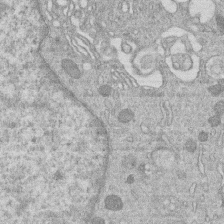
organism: Human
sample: Macrophage cells